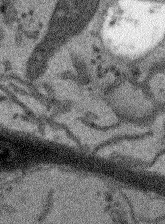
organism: Arabidopsis thaliana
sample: Root tip